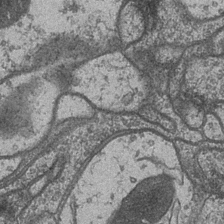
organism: Drosophila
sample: Optic medulla